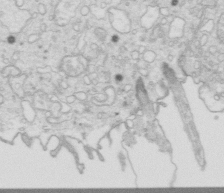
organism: Mouse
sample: Multiciliated cells